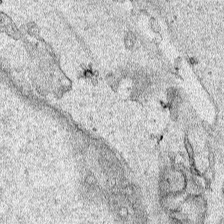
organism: Human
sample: Mitochondria in HCT116 cells